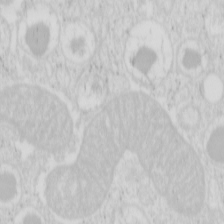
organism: Mouse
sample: Pancreas